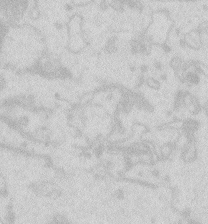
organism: Zebrafish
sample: Macrophage